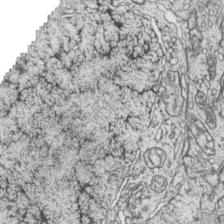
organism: Zebrafish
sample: synaptic ribbons in rod cells and cone cells